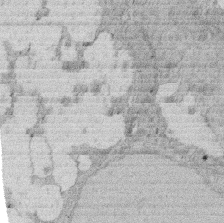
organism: Rat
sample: Salivary granule